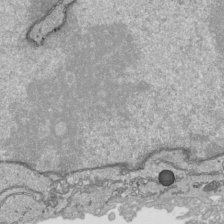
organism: Human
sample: Mitochondria in HCT116 cells